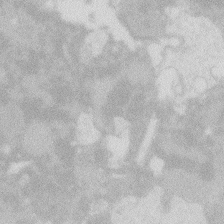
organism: Zebrafish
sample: Macrophage